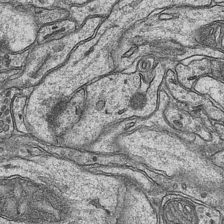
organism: Mouse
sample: CA1 Hippocampus